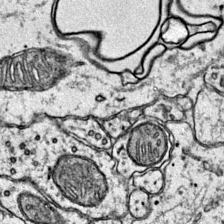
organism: Mouse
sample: Primary visual cortex